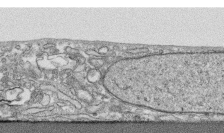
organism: Human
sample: CRL-1474